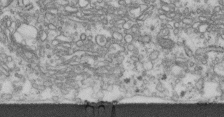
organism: Human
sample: Centriole in fibroblast cells